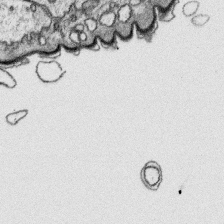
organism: Platynereis dumerilii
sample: Parapodia